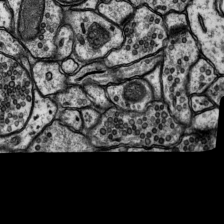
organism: Rat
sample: Hippocampus